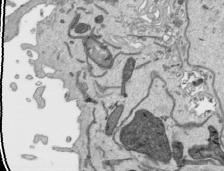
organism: Human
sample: Mitochondria in HCT116 cells